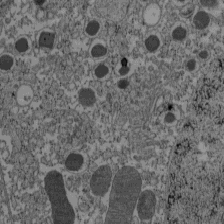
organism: C57BL Mouse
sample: Pancreatic islet